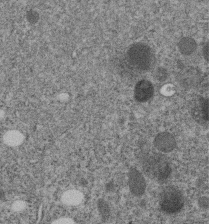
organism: C. elegans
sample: C. elegans embryo early stage